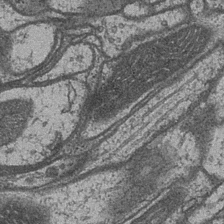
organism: Drosophila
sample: Optic medulla